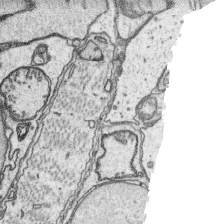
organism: Platynereis dumerilii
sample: Parapodia